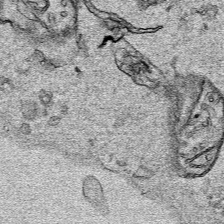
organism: Human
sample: Mitochondria in HCT116 cells